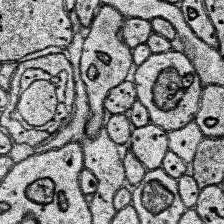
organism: Human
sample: Temporal Lobe